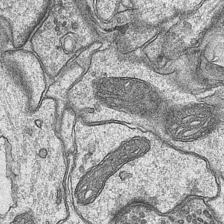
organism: Mouse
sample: CA1 Hippocampus